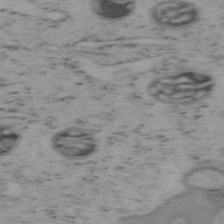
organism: Mouse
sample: OT-I killer T cells with ID8 ovarian cancer cells